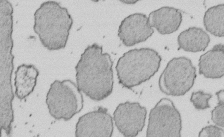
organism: E. coli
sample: Bacterial nucleoid